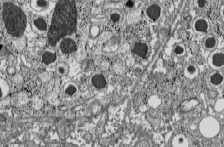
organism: C57BL Mouse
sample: Pancreatic islet